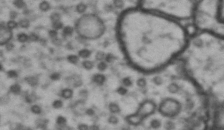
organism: Drosophila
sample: Brain